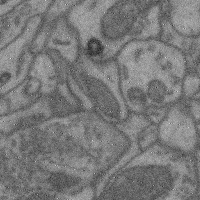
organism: Mouse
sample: Cerebral cortex